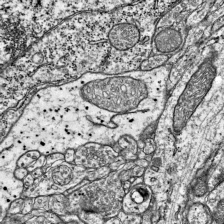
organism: Mouse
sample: Visual Cortex